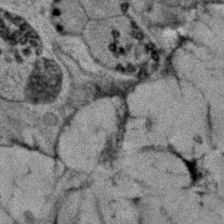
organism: Human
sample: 1205lu cells